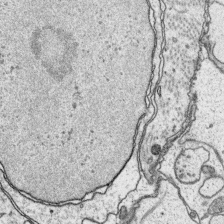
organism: Platynereis dumerilii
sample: Parapodia